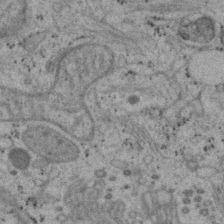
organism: Human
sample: HeLa cells